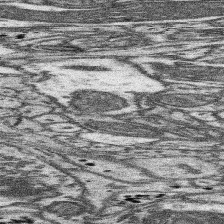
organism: Mouse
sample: Somatosensory cortex neuropil